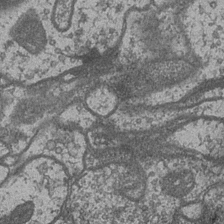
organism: Drosophila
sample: Optic medulla